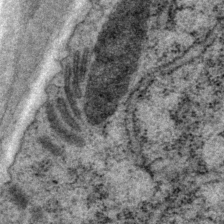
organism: P. pacificus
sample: Pharynx